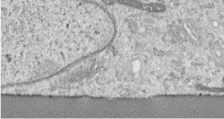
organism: Human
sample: Centriole in RPE cells